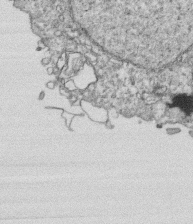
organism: Human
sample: HeLa cell HIV synapse